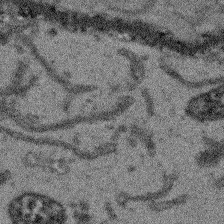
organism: Arabidopsis thaliana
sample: Root tip